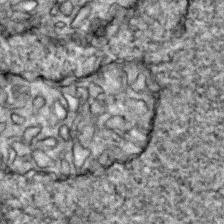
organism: Zebrafish